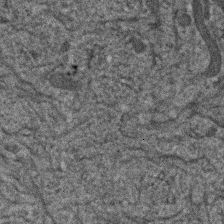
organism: Human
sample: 1205lu cells